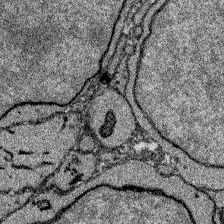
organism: Zebrafish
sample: Larval olfactory bulb